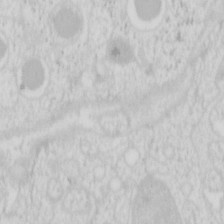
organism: Mouse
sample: Pancreas